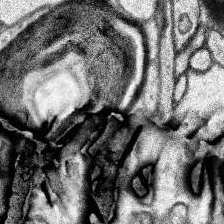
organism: Human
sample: Temporal Lobe